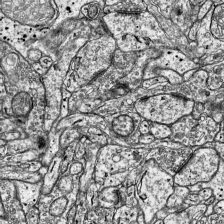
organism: Mouse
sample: Visual Cortex